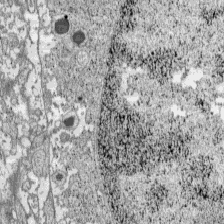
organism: C57BL Mouse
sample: Pancreatic islet